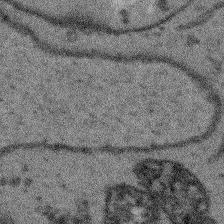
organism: Arabidopsis thaliana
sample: Root tip